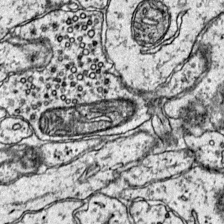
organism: Mouse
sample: Primary visual cortex